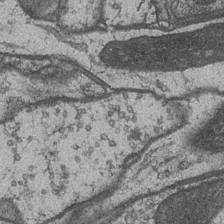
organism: Drosophila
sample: Optic medulla